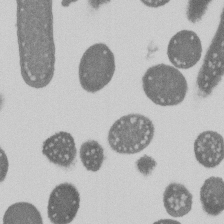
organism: E. coli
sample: Bacterial nucleoid